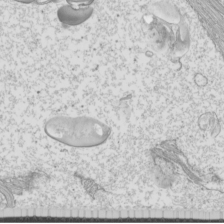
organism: Mouse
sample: Cilia; mouse epididymis